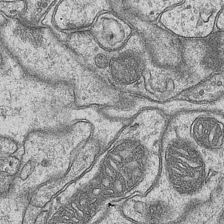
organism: Mouse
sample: CA1 Hippocampus